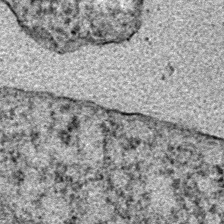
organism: E. coli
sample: E. Coli Bacteria